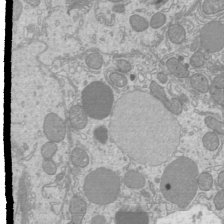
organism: Mouse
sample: Cilia; mouse epididymis